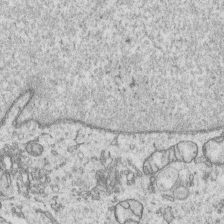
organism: Human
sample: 1205lu cells